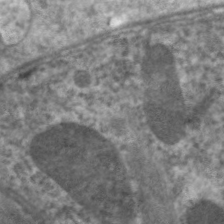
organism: C. elegans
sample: Pharynx